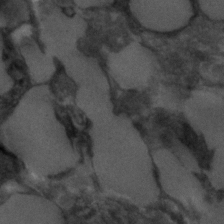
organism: C. elegans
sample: C. elegans embryo